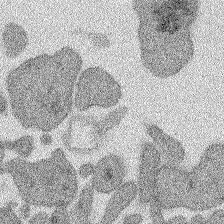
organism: Human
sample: HeLa cells